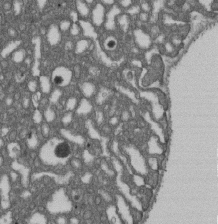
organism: Drosophila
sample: Nephrocyte